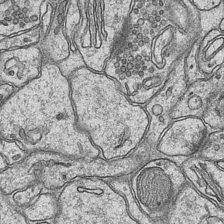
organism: Mouse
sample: CA1 Hippocampus